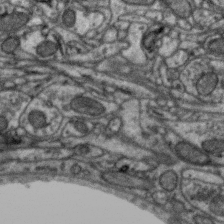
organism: Zebra finch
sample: Brain